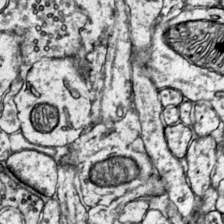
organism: Mouse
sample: Primary visual cortex